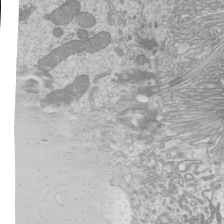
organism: Mouse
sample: Cilia; mouse epididymis